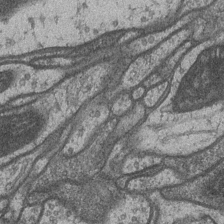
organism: Drosophila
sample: Optic medulla